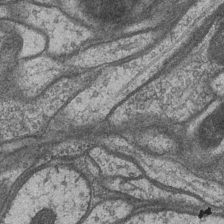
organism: Drosophila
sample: Optic medulla